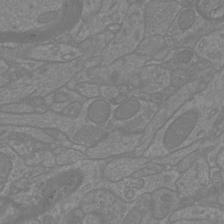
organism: Mouse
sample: Cortical neurons